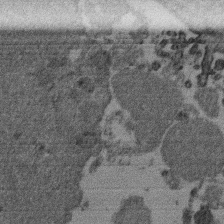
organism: Mouse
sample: Dividing mouse embryo 1 cell stage